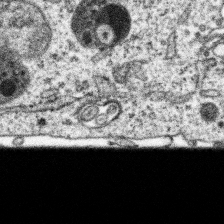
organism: Human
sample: HeLa cells